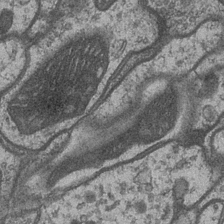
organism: Drosophila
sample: Optic medulla